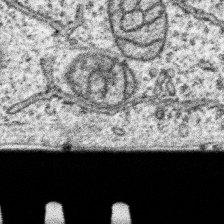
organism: Human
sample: HeLa cells